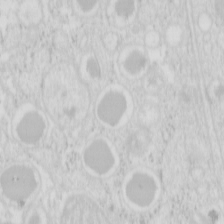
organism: Mouse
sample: Pancreas